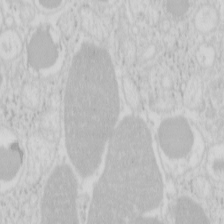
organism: Mouse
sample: Pancreas